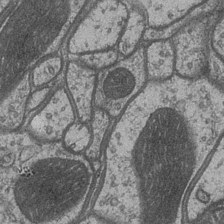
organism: Drosophila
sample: Optic medulla